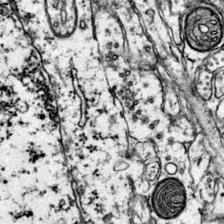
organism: Mouse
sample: Primary visual cortex